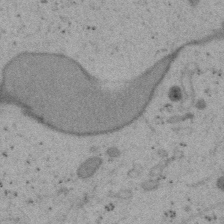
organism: Human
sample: HeLa cells